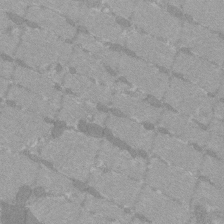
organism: C57BL Mouse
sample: Tibialis anterior muscle cell